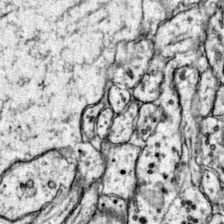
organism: Mouse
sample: Primary visual cortex